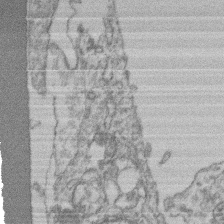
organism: Mouse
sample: T cell stromal cell synapse